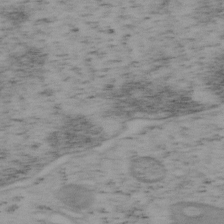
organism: Mouse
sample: OT-I killer T cells with ID8 ovarian cancer cells